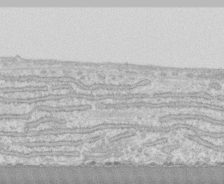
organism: Human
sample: CRL-1474